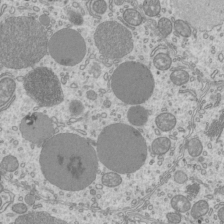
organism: Mouse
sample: Cilia; mouse epididymis